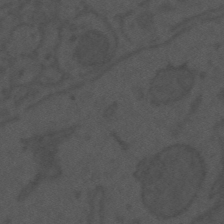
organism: Mouse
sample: Suprachiasmatic nucleus